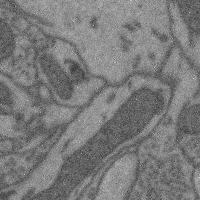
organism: Mouse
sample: Cerebral cortex